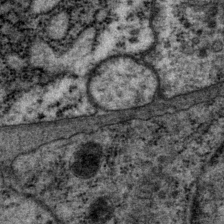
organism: P. pacificus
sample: Pharynx